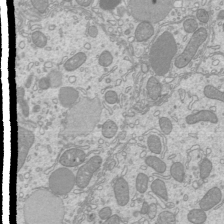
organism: Mouse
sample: Cilia; mouse epididymis